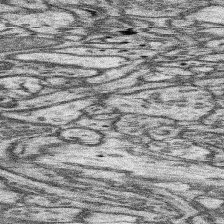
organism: Mouse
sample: Somatosensory cortex neuropil